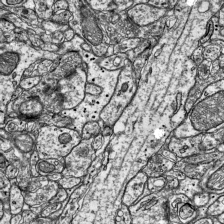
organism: Mouse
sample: Visual Cortex